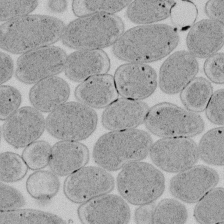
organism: E. coli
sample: Bacterial nucleoid